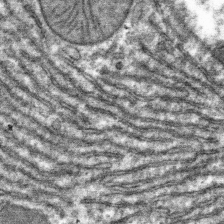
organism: Mouse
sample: Mouse hepatocytes